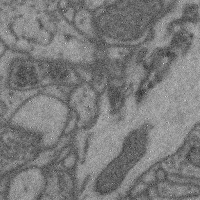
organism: Mouse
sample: Cerebral cortex